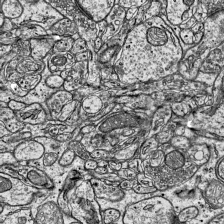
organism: Mouse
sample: Visual Cortex